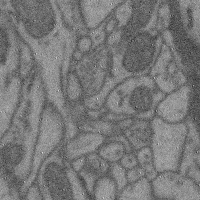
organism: Mouse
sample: Cerebral cortex